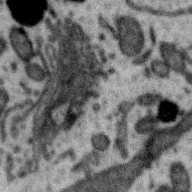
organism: Zebra finch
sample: Brain